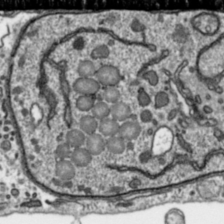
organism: Toxoplasma gondii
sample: Parasites in a vacuole inside a host cell